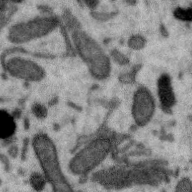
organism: Zebra finch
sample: Brain